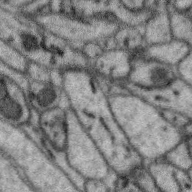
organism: Zebra finch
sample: Brain